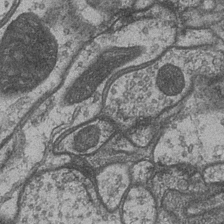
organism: Drosophila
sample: Optic medulla